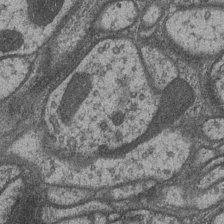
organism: Drosophila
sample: Optic medulla